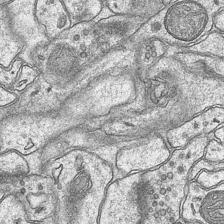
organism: Mouse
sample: CA1 Hippocampus